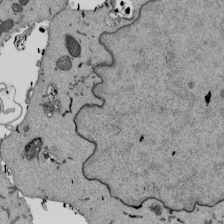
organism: Mouse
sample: ED-1 cell nuclei; centrioles